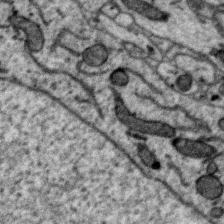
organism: Zebra finch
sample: Brain